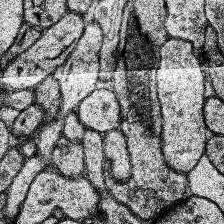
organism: Human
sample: Temporal Lobe